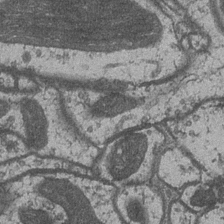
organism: Drosophila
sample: Optic medulla